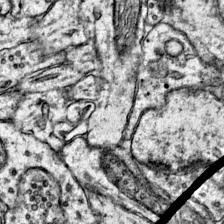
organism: Mouse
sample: Primary visual cortex